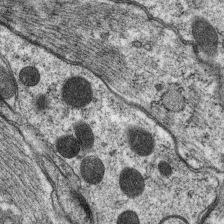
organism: C. elegans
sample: Pharynx